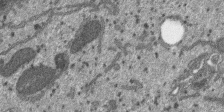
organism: Human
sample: Lung epithelial cells infected with SARS-CoV-2